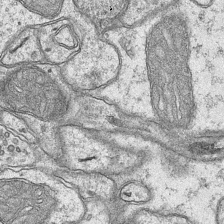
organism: Mouse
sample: CA1 Hippocampus